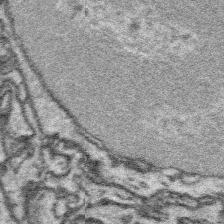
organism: Platynereis dumerilii